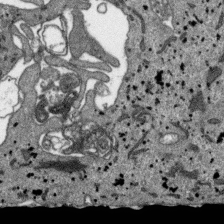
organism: Human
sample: Lung epithelial cells, uninfected (mock) control